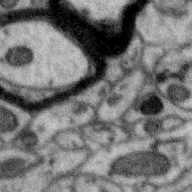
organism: Zebra finch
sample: Brain